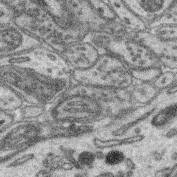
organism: Mouse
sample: Retina